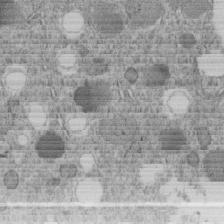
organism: C. elegans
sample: C. elegans embryo early stage